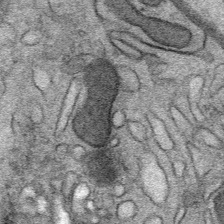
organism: Mouse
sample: Mouse Salivary gland